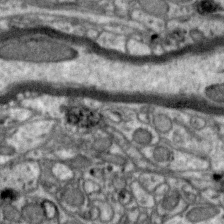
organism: Zebra finch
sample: Brain